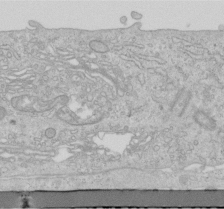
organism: Human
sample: Centriole in RPE cells